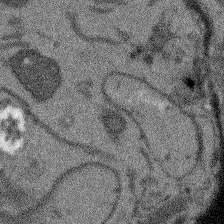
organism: Arabidopsis thaliana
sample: Root tip